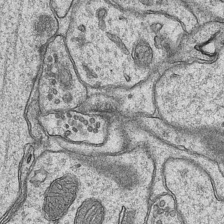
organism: Mouse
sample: CA1 Hippocampus